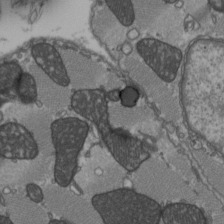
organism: C57BL Mouse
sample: Heart